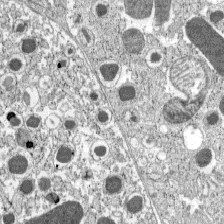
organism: C57BL Mouse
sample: Pancreatic islet